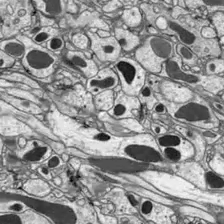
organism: Drosophila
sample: Optic lobe